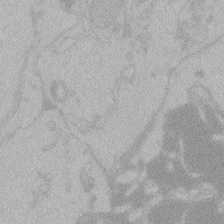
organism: Zebrafish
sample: Macrophage infected with Toxoplasma gondii